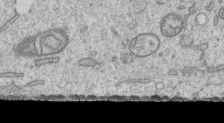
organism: Human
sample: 1205lu cells